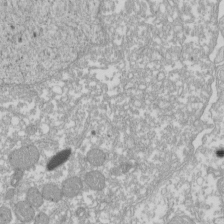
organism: Xenopus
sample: Cilia; centrioles in frog embryo cells